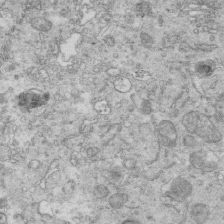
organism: Mouse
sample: Multiciliated cells